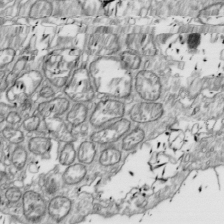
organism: Drosophila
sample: Cell division; meiosis; drosophila spermatocytes